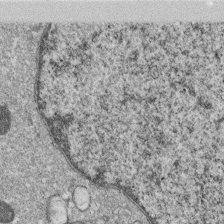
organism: African green monkey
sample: Vero E6 cells infected with SARS-CoV-2